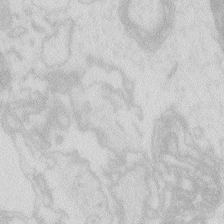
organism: Zebrafish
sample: Macrophage